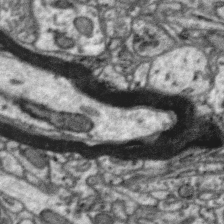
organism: Zebra finch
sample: Brain